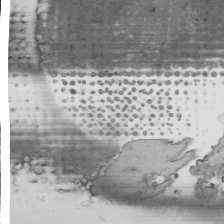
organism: Human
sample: Mitochondria in HCT116 cells